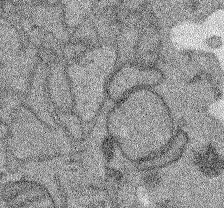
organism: Human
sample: HeLa cells